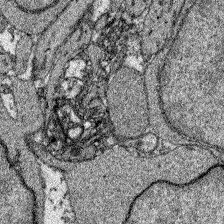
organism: Zebrafish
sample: Larval olfactory bulb